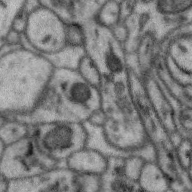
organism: Zebra finch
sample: Brain